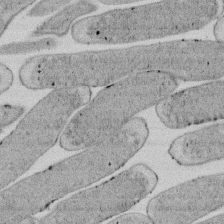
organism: E. coli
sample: Bacterial nucleoid